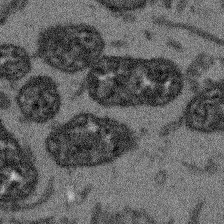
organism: Arabidopsis thaliana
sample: Root tip